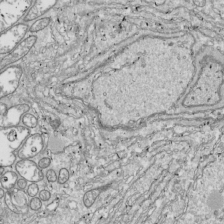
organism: Drosophila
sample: Cell division; meiosis; drosophila spermatocytes